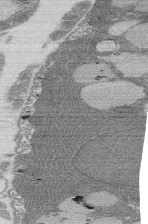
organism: Rat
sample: Salivary granule